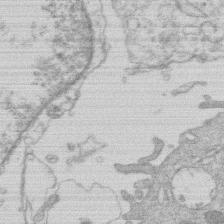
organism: Human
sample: Macrophage cells